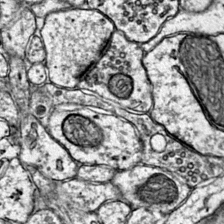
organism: Mouse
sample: Primary visual cortex